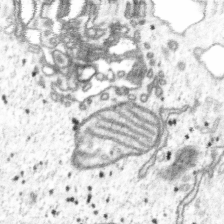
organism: Human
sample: HeLa cells